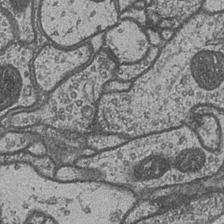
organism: Drosophila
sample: Optic medulla